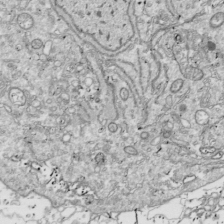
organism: Drosophila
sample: Cell division; meiosis; drosophila spermatocytes